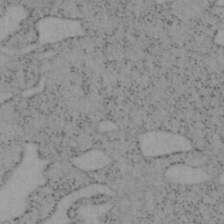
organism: Mouse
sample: OT-I killer T cells with ID8 ovarian cancer cells